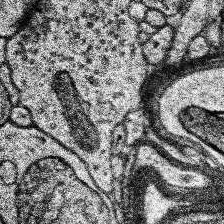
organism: Human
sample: Temporal Lobe